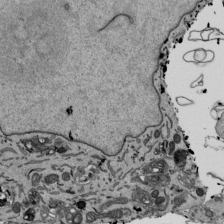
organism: Mouse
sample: ED-1 cell nuclei; centrioles